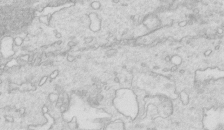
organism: Mouse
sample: Multiciliated cells